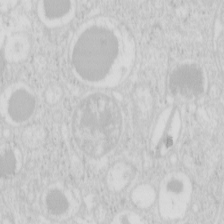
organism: Mouse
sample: Pancreas